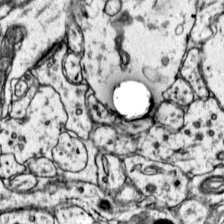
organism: Mouse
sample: Primary visual cortex